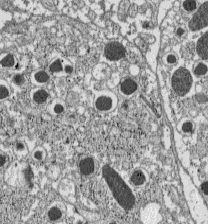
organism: C57BL Mouse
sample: Pancreatic islet